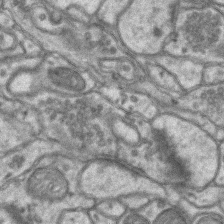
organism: Mouse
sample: CA1 Hippocampus